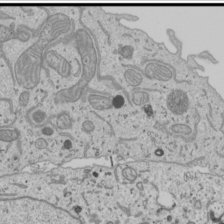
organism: Human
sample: Mitochondria in U2OS cells